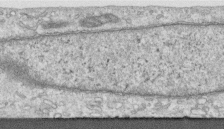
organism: Human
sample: Centriole in RPE cells